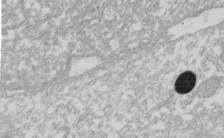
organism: Xenopus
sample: Cilia; centrioles in frog embryo cells